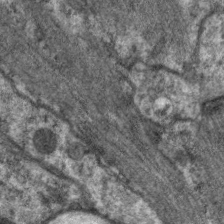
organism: C. elegans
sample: Pharynx